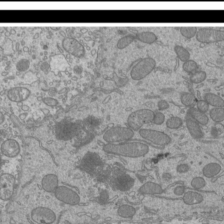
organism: Mouse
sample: Cilia; mouse epididymis